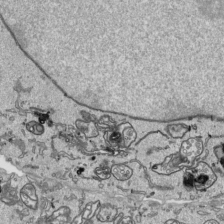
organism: Human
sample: Mitochondria in HCT116 cells